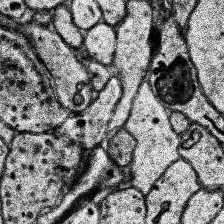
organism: Human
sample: Temporal Lobe